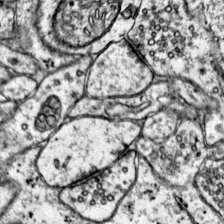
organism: Mouse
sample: Primary visual cortex